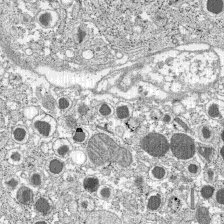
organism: C57BL Mouse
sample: Pancreatic islet